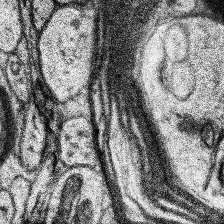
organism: Human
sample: Temporal Lobe